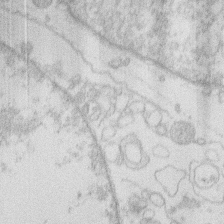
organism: Human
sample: Macrophage cells